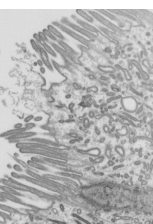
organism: Mouse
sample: Mouse epididymis efferent ductule cilia